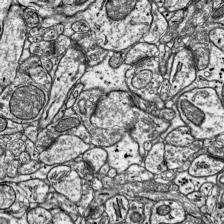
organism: Mouse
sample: Visual Cortex